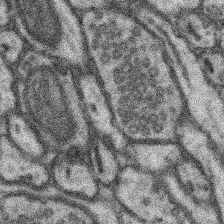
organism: Mouse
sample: Somatosensory cortex neuropil